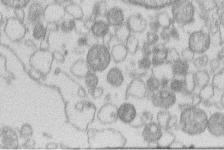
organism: Human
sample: Macrophage cells